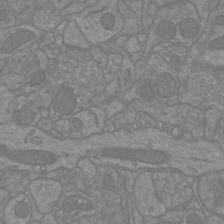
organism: Mouse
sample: Cortical neurons